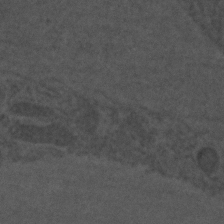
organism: C. elegans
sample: C. elegans embryo